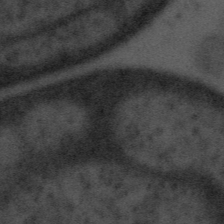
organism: Tuwongella immobilis